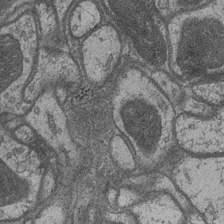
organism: Drosophila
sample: Optic medulla